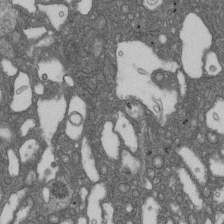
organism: Drosophila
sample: Nephrocyte